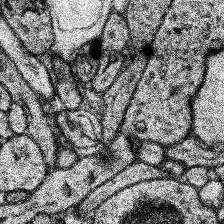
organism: Human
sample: Temporal Lobe